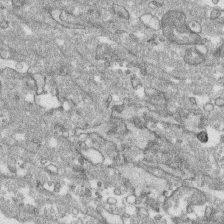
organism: Human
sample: CRL-1474